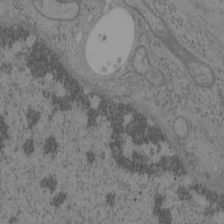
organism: Mouse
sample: OT-I killer T cells with ID8 ovarian cancer cells